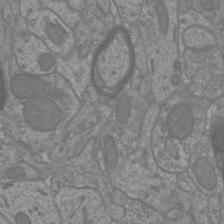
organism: Mouse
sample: Cortical neurons